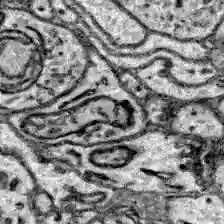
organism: Zebrafish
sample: Brain